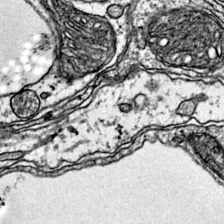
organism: Mouse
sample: Primary visual cortex